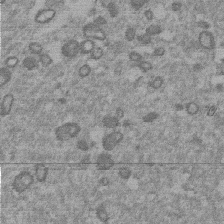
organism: Mouse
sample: Dividing mouse embryo 1 cell stage